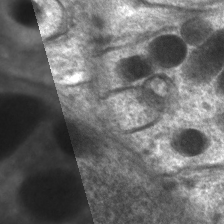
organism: C. elegans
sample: Pharynx